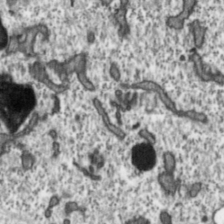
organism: Toxoplasma gondii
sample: Parasites in a vacuole inside a host cell